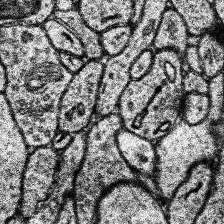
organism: Human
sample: Temporal Lobe